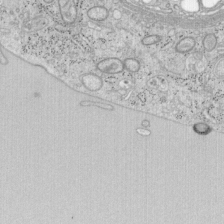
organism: Mouse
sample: OT-I killer T cells with ID8 ovarian cancer cells